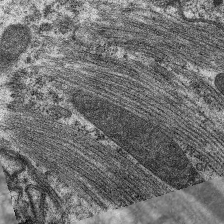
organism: C. elegans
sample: Pharynx